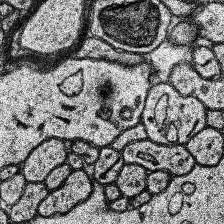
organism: Human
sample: Temporal Lobe